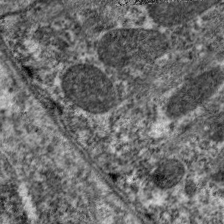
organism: C. elegans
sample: Pharynx